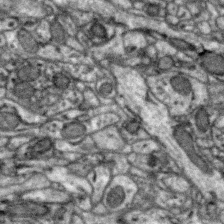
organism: Zebra finch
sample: Brain